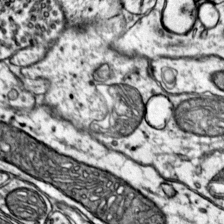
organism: Mouse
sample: Primary visual cortex